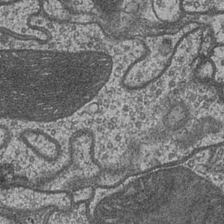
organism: Drosophila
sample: Optic medulla